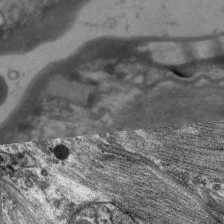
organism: C. elegans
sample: Pharynx